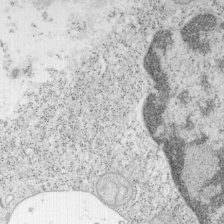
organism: Mouse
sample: OT-I killer T cells with ID8 ovarian cancer cells